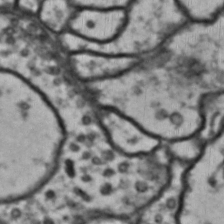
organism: Drosophila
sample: Brain